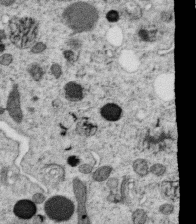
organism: C. elegans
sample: C. elegans oocyte; sperm cells